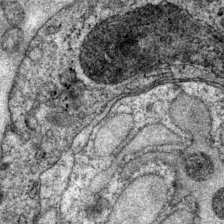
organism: P. pacificus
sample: Pharynx